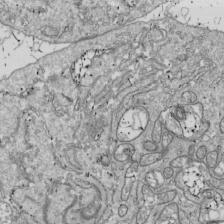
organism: Drosophila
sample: Cell division; meiosis; drosophila spermatocytes